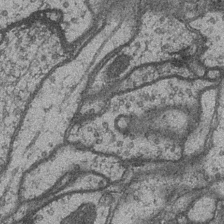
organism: Drosophila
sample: Optic medulla